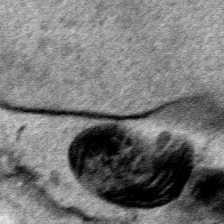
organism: Human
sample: Mitochondria in HCT116 cells